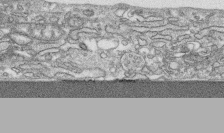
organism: Human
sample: CRL-1474